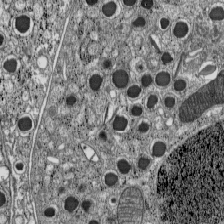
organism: C57BL Mouse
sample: Pancreatic islet